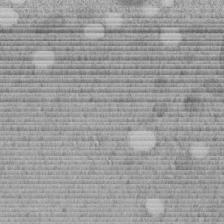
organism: C. elegans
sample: C. elegans embryo early stage